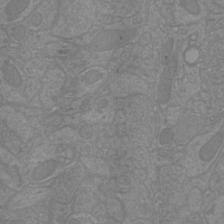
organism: Mouse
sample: Cortical neurons